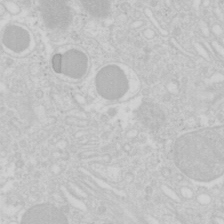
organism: Mouse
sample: Pancreas